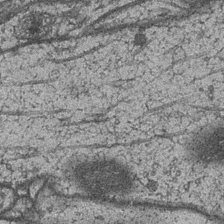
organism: Drosophila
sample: Optic medulla